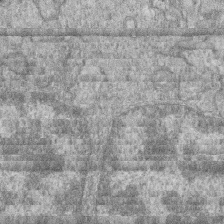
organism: Zebrafish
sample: Cilia; retinal pigment epithelium